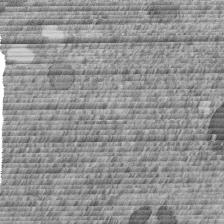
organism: C. elegans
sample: C. elegans embryo early stage